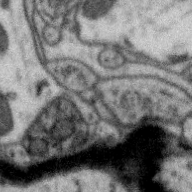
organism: Zebra finch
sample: Brain